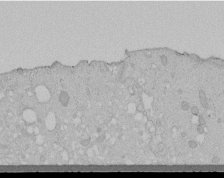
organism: Human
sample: Melanocyte Keratinocyte synapse skin construct